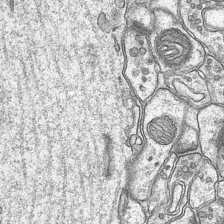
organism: Mouse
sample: CA1 Hippocampus